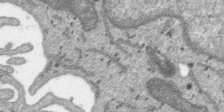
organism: Human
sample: Lung epithelial cells infected with SARS-CoV-2